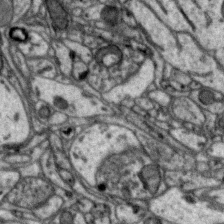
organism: Zebra finch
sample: Brain